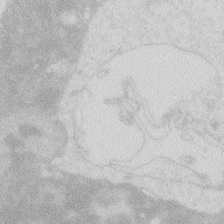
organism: Zebrafish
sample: Macrophage